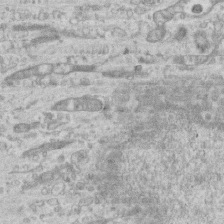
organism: Mouse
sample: Centriole in ependymal cells